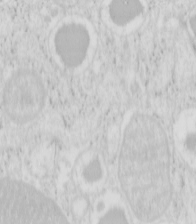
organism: Mouse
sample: Pancreas